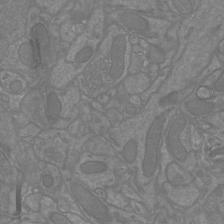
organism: Mouse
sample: Cortical neurons